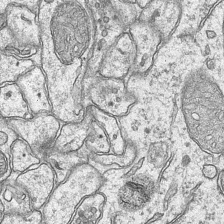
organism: Mouse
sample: CA1 Hippocampus